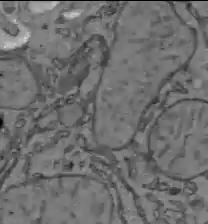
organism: C57BL Mouse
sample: Liver